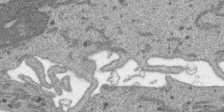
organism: Human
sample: Lung epithelial cells infected with SARS-CoV-2